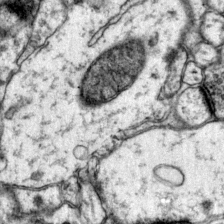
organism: Mouse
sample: Primary visual cortex